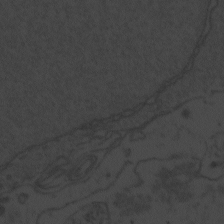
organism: Zebrafish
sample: Macrophage infected with Toxoplasma gondii